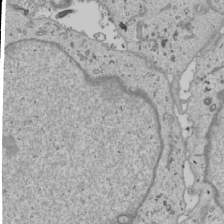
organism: Human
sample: Mitochondria in U2OS cells